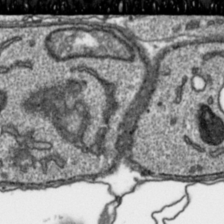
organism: Toxoplasma gondii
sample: Parasites in a vacuole inside a host cell